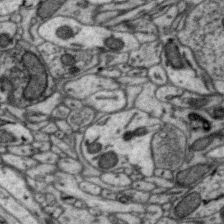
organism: Zebra finch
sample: Brain